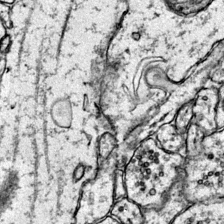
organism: Mouse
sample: Primary visual cortex